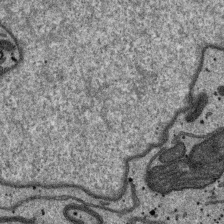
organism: Human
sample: Lung epithelial cells, uninfected (mock) control